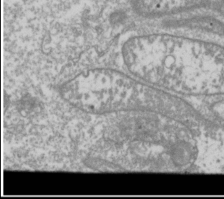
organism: Drosophila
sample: Cell division; meiosis; drosophila spermatocytes